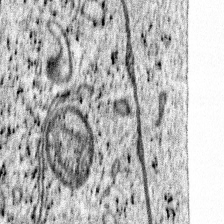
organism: Human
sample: HeLa cells